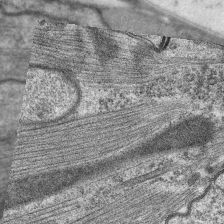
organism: C. elegans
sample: Pharynx